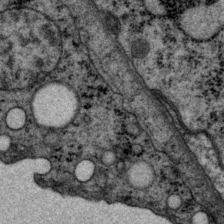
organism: P. pacificus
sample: Pharynx